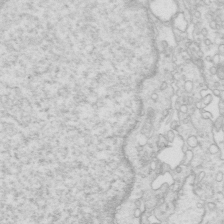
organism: Mouse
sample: Multiciliated cells